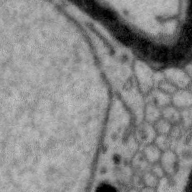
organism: Zebra finch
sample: Brain